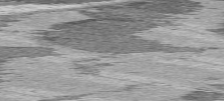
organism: C57BL Mouse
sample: Heart